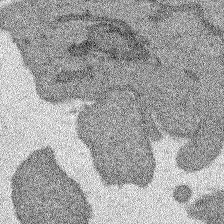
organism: Human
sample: HeLa cells